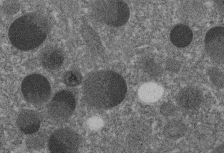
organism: C. elegans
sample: C. elegans embryo early stage